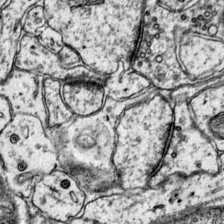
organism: Mouse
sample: Primary visual cortex